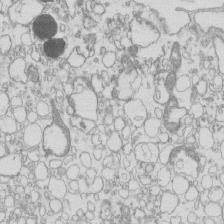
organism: Mouse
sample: Macrophages